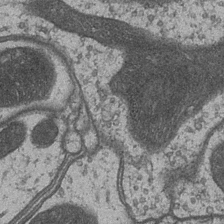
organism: Drosophila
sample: Optic medulla